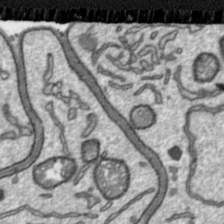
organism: Toxoplasma gondii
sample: Parasites in a vacuole inside a host cell